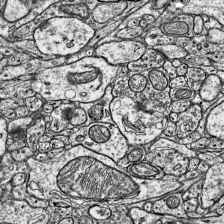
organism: Mouse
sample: Visual Cortex